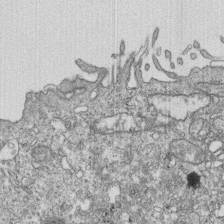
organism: Human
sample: HeLa cell HIV synapse